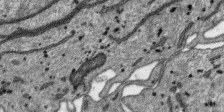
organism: Human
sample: Lung epithelial cells, uninfected (mock) control